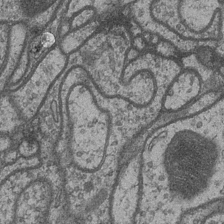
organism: Drosophila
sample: Optic medulla